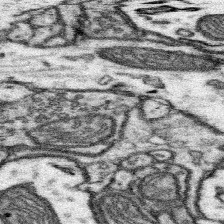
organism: Mouse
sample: Somatosensory cortex neuropil